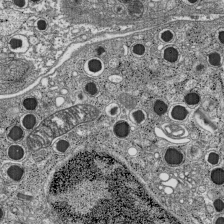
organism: C57BL Mouse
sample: Pancreatic islet